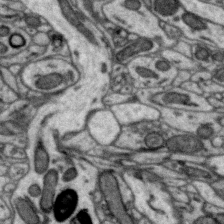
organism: Zebra finch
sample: Brain